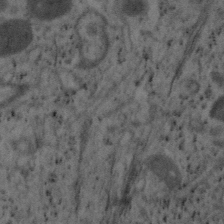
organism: Human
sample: HeLa cells